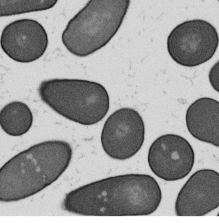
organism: B. subtilis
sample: Bacterial spore